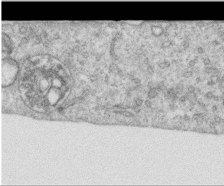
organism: Human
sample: Centriole in RPE cells